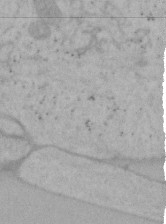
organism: Human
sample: HeLa cells